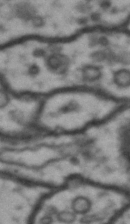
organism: Drosophila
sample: Brain